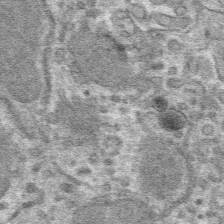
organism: Mouse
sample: Mouse hepatocytes